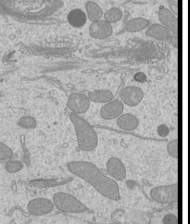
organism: Mouse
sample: Cilia; mouse epididymis